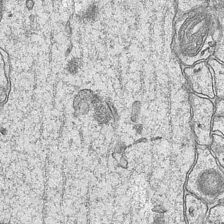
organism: Mouse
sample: CA1 Hippocampus